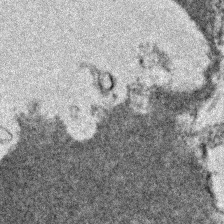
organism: Zebrafish